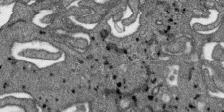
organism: Human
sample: Lung epithelial cells, uninfected (mock) control